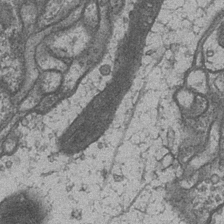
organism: Drosophila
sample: Optic medulla